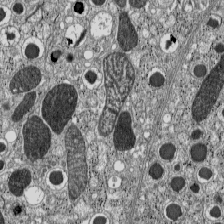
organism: C57BL Mouse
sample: Pancreatic islet